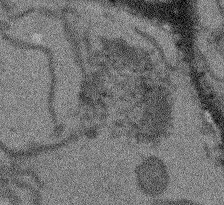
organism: Arabidopsis thaliana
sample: Root tip